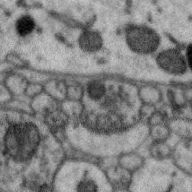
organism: Zebra finch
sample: Brain